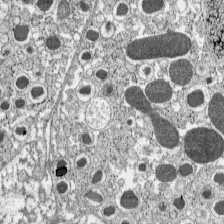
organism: C57BL Mouse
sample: Pancreatic islet